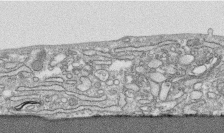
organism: Human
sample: CRL-1474